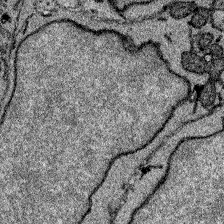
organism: Zebrafish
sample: Larval olfactory bulb